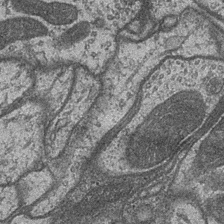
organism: Drosophila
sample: Optic medulla